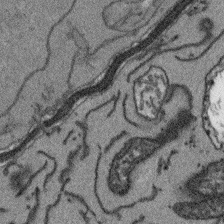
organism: Arabidopsis thaliana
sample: Root tip